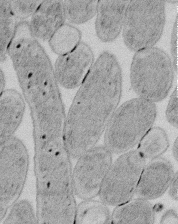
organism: E. coli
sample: Bacterial nucleoid